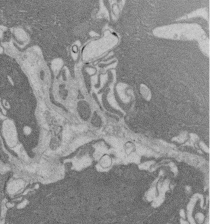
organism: Rat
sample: Salivary granule